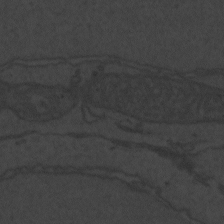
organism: Zebrafish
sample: Macrophage infected with Toxoplasma gondii